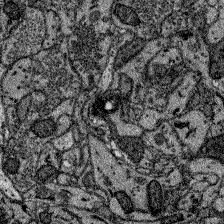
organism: Zebrafish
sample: Larval olfactory bulb